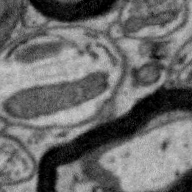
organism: Zebra finch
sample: Brain